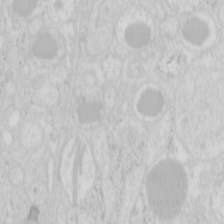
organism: Mouse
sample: Pancreas